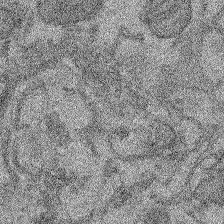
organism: Human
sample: HeLa cells